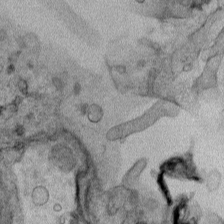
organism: Human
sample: Mitochondria in HCT116 cells